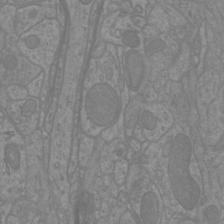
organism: Mouse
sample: Cortical neurons